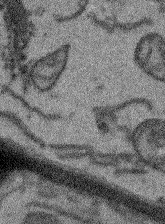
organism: Arabidopsis thaliana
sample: Root tip